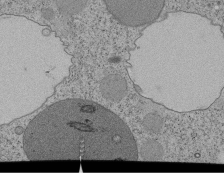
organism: Tetrahymena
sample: Cilia in tetrahymena